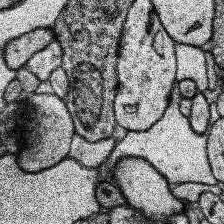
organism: Human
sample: Temporal Lobe